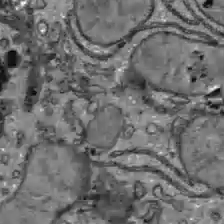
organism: C57BL Mouse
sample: Liver